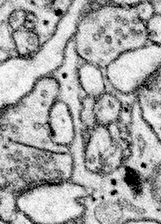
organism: Mouse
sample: Somatosensory cortex neuropil